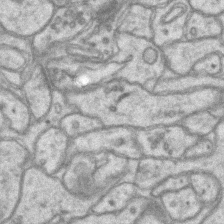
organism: Mouse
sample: CA1 Hippocampus